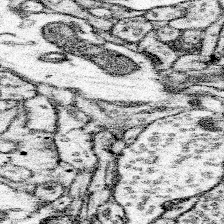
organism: Mouse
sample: Somatosensory cortex neuropil